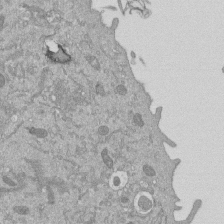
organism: Mouse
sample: ED-1 cell nuclei; centrioles